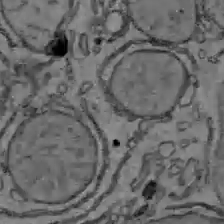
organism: C57BL Mouse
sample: Liver